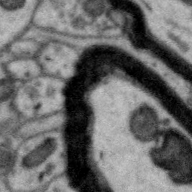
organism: Zebra finch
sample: Brain